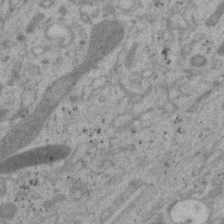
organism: Human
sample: HeLa cells